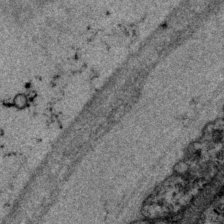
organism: P. pacificus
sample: Pharynx